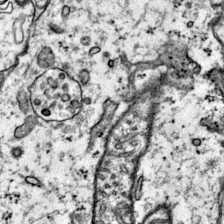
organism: Mouse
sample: Primary visual cortex